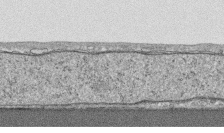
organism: Human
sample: CRL-1474